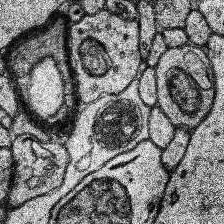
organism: Human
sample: Temporal Lobe